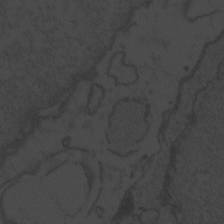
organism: Zebrafish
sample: Macrophage infected with Toxoplasma gondii